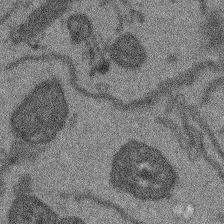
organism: Arabidopsis thaliana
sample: Root tip